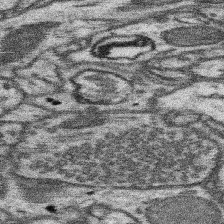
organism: Mouse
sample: Somatosensory cortex neuropil